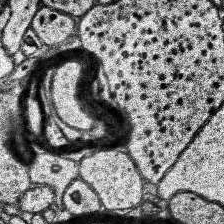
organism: Human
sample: Temporal Lobe